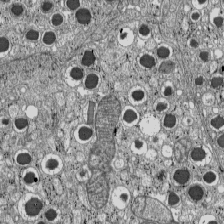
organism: C57BL Mouse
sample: Pancreatic islet